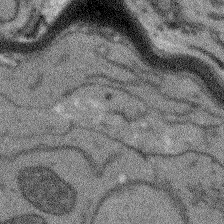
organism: Arabidopsis thaliana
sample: Root tip